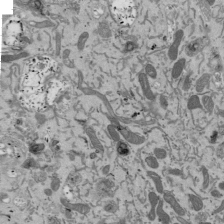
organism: Mouse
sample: ED-1 cell nuclei; centrioles